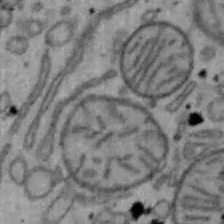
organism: Mouse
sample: Liver